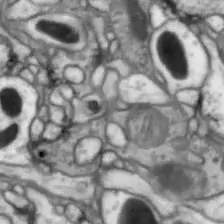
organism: Drosophila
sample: Optic lobe